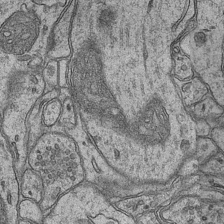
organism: Mouse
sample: CA1 Hippocampus